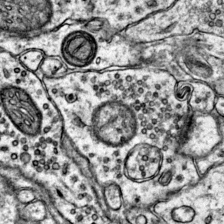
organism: Mouse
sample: Primary visual cortex